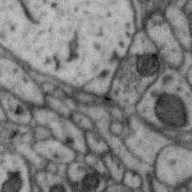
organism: Zebra finch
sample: Brain